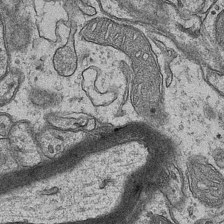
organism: Mouse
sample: CA1 Hippocampus